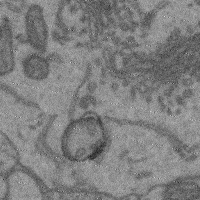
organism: Mouse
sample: Cerebral cortex